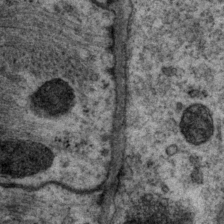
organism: P. pacificus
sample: Pharynx